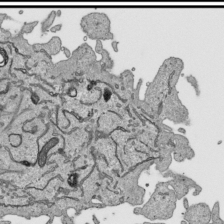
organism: Human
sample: Mitochondria in HCT116 cells